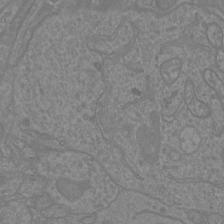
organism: Mouse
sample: Cortical neurons